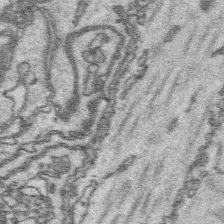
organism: Platynereis dumerilii